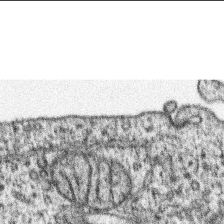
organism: Human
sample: HeLa cells